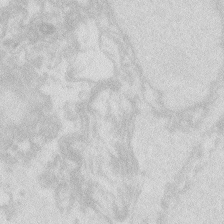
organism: Zebrafish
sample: Macrophage